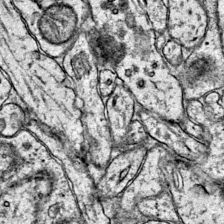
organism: Mouse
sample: Primary visual cortex